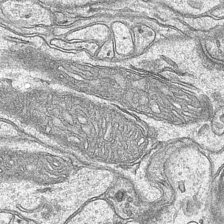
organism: Mouse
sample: CA1 Hippocampus